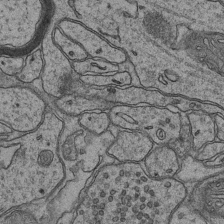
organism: Mouse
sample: CA1 Hippocampus